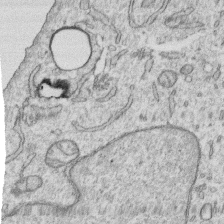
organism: Human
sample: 1205lu cells